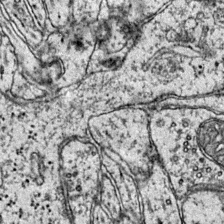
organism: Mouse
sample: Primary visual cortex